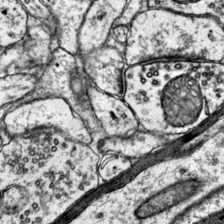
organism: Mouse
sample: Primary visual cortex